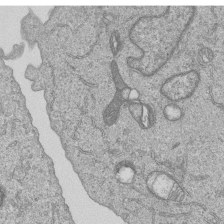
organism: Human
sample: MDA-MB-231 cells